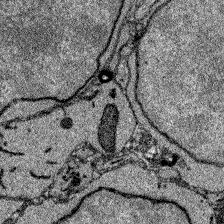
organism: Zebrafish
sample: Larval olfactory bulb